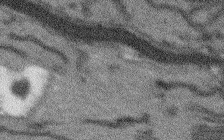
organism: Arabidopsis thaliana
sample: Root tip